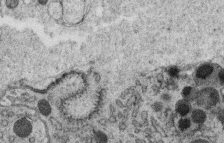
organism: C. elegans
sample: C. elegans oocyte; sperm cells